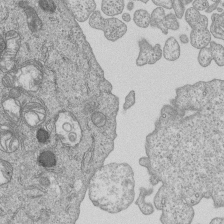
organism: Human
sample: MDA-MB-231 cells